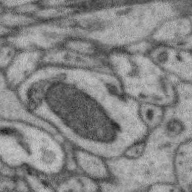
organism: Zebra finch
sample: Brain